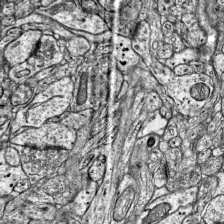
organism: Mouse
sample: Visual Cortex